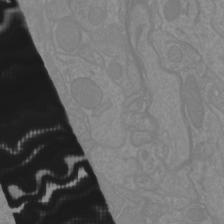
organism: Mouse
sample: Cortical neurons